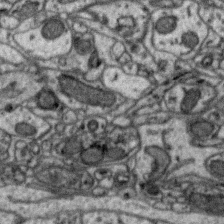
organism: Zebra finch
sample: Brain